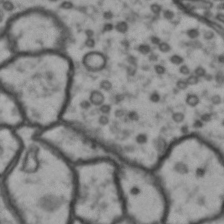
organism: Drosophila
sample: Brain